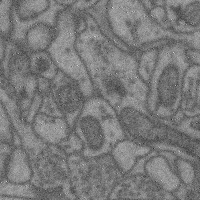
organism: Mouse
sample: Cerebral cortex